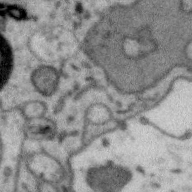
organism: Zebra finch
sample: Brain